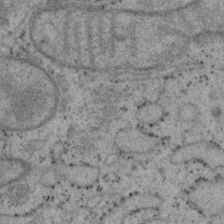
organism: Human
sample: HeLa cells